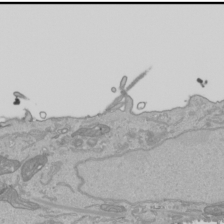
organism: Human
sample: Mitochondria in HCT116 cells